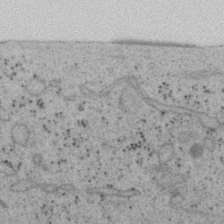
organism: Human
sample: HeLa cells